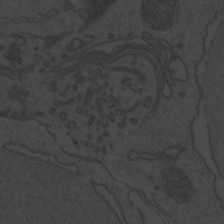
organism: Zebrafish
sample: Macrophage infected with Toxoplasma gondii